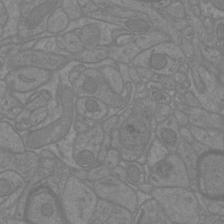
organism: Mouse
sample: Cortical neurons